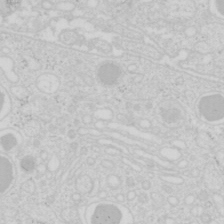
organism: Mouse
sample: Pancreas